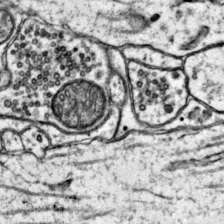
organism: Mouse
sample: Primary visual cortex